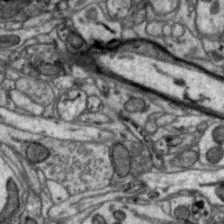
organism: Zebra finch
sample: Brain